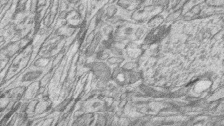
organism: Zebrafish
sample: synaptic ribbons in rod cells and cone cells